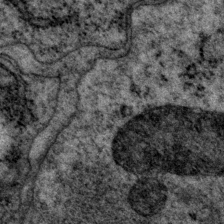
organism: P. pacificus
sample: Pharynx